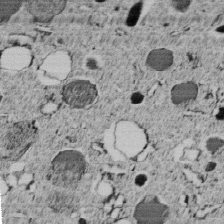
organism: C. elegans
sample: C. elegans embryo early stage